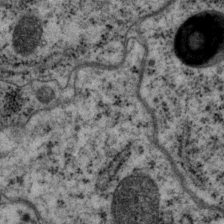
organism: P. pacificus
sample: Pharynx